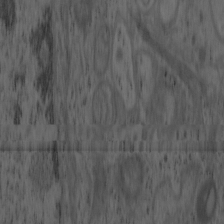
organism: Human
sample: HeLa cells